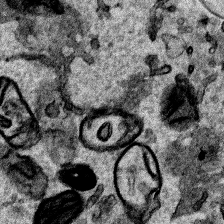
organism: Human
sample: Mitochondria in HCT116 cells